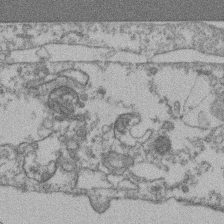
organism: Mouse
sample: T cell stromal cell synapse